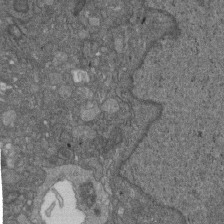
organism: Drosophila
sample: Nephrocyte